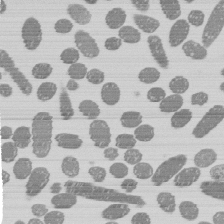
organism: E. coli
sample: Bacterial nucleoid